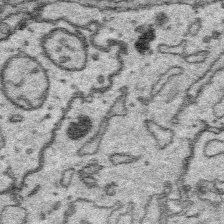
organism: Platynereis dumerilii